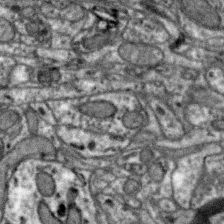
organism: Zebra finch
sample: Brain